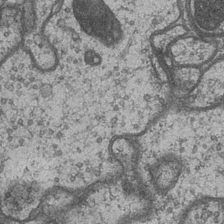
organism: Drosophila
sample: Optic medulla